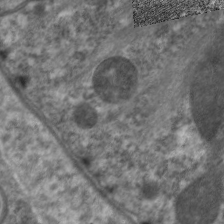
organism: C. elegans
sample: Pharynx